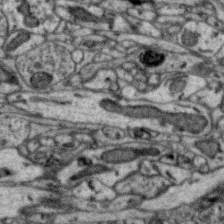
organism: Zebra finch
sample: Brain